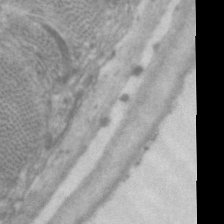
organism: C. elegans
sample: Pharynx